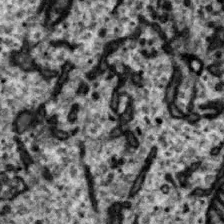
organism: Human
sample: HeLa cells